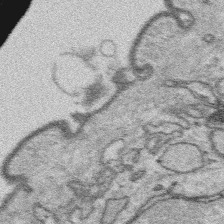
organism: Platynereis dumerilii